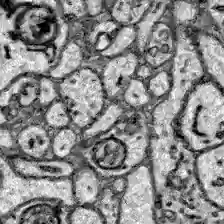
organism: Zebrafish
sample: Brain